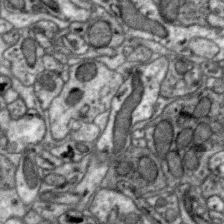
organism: Zebra finch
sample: Brain